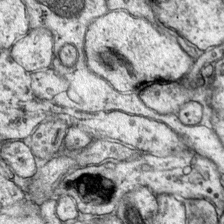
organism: Mouse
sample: Primary visual cortex